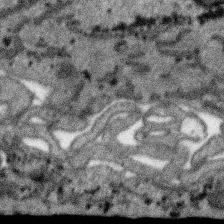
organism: Human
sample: Lung epithelial cells infected with SARS-CoV-2